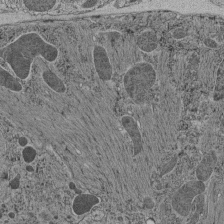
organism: C. elegans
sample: C. elegans pharynx